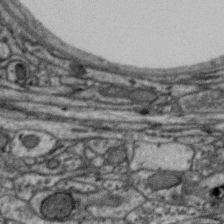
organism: Zebra finch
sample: Brain